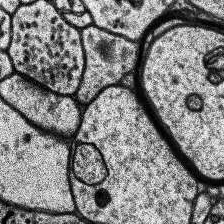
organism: Human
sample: Temporal Lobe